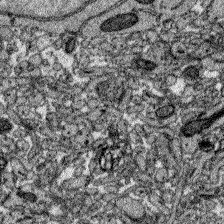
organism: Zebrafish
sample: Larval olfactory bulb